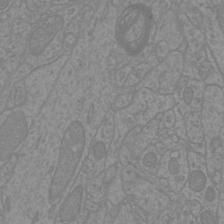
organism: Mouse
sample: Cortical neurons